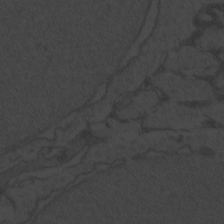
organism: Zebrafish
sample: Macrophage infected with Toxoplasma gondii